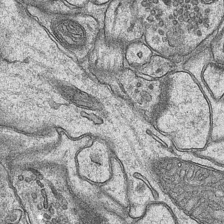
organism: Mouse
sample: CA1 Hippocampus